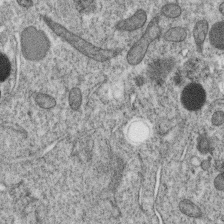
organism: C. elegans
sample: C. elegans oocyte; sperm cells